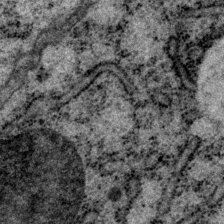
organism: P. pacificus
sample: Pharynx